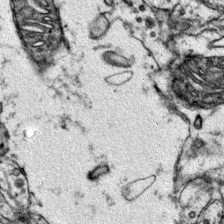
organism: Mouse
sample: Primary visual cortex